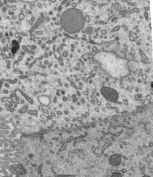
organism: Mouse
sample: Mouse epididymis efferent ductule cilia